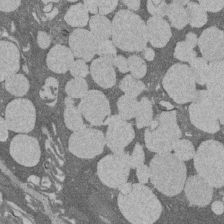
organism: Rat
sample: Salivary granule